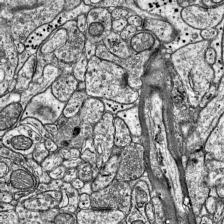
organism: Mouse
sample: Visual Cortex